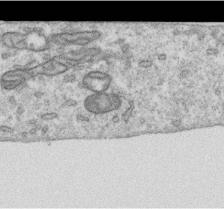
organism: Human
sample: Centriole in RPE cells